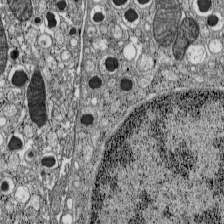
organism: C57BL Mouse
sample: Pancreatic islet